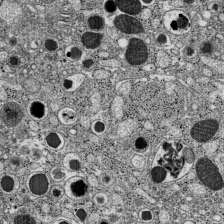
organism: C57BL Mouse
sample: Pancreatic islet